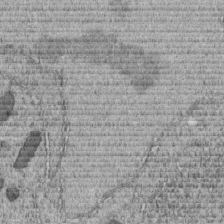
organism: C. elegans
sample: C. elegans embryo early stage